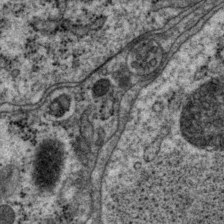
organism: P. pacificus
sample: Pharynx